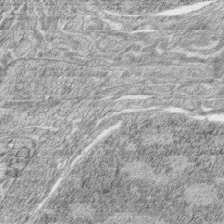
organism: Zebrafish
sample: synaptic ribbons in rod cells and cone cells